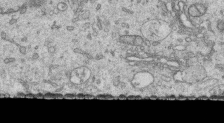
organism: Human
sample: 1205lu cells